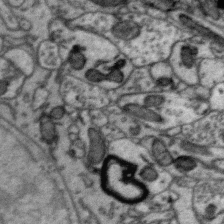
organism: Zebra finch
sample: Brain